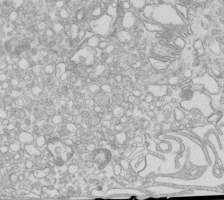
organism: Mouse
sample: Macrophages